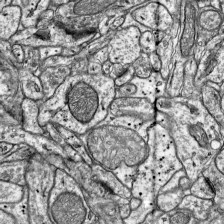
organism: Mouse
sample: Visual Cortex